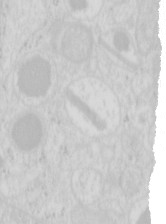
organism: Mouse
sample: Pancreas